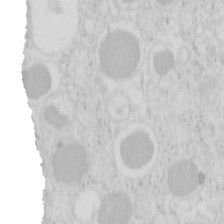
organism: Mouse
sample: Pancreas